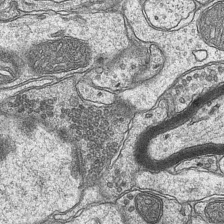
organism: Mouse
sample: CA1 Hippocampus